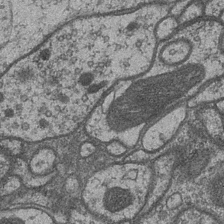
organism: Drosophila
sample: Optic medulla